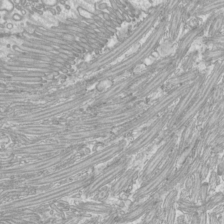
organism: Mouse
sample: Cilia; mouse epididymis